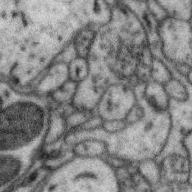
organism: Zebra finch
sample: Brain